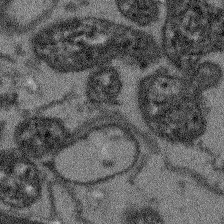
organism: Arabidopsis thaliana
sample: Root tip